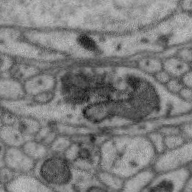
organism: Zebra finch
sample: Brain